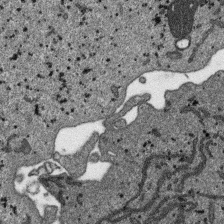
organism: Human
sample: Lung epithelial cells infected with SARS-CoV-2